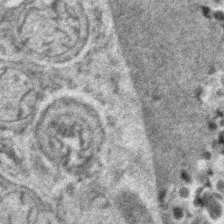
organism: Zebrafish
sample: Zebrafish embryo